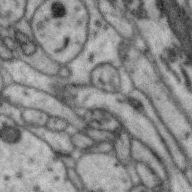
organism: Zebra finch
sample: Brain